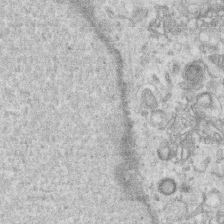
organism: Human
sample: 1205lu cells